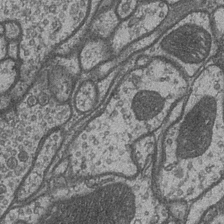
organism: Drosophila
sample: Optic medulla